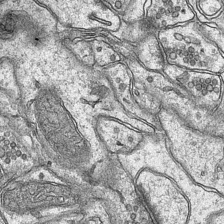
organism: Mouse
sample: CA1 Hippocampus